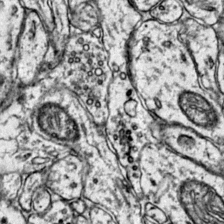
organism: Mouse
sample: Primary visual cortex